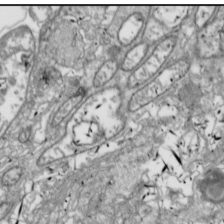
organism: Drosophila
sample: Cell division; meiosis; drosophila spermatocytes